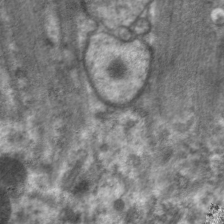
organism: C. elegans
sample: Pharynx